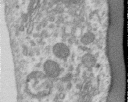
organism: Human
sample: Centriole in RPE cells